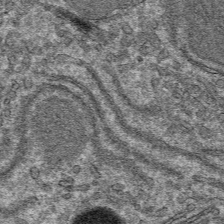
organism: Mouse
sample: Mouse hepatocytes